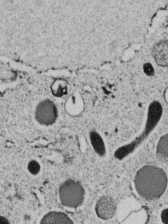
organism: C. elegans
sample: C. elegans embryo early stage